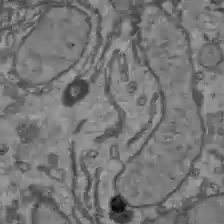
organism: C57BL Mouse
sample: Liver